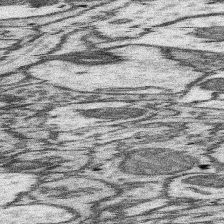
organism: Mouse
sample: Somatosensory cortex neuropil